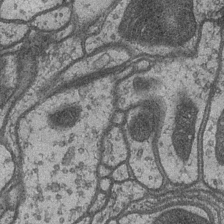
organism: Drosophila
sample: Optic medulla